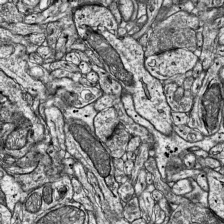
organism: Mouse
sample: Visual Cortex